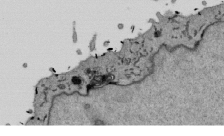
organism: Mouse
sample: ED-1 cell nuclei; centrioles